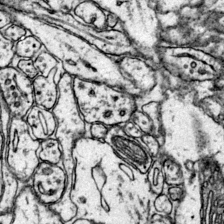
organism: Mouse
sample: Primary visual cortex